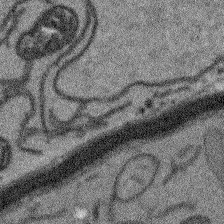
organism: Arabidopsis thaliana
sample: Root tip